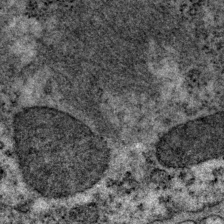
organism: P. pacificus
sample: Pharynx